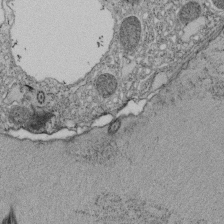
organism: Tetrahymena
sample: Cilia in tetrahymena